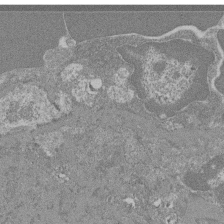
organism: Mouse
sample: Glomerulus